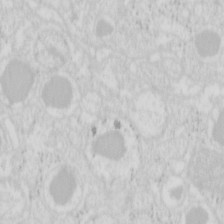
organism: Mouse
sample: Pancreas